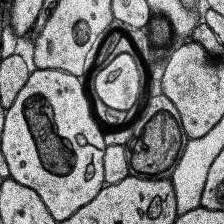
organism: Human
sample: Temporal Lobe